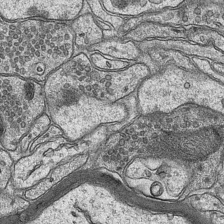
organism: Mouse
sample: CA1 Hippocampus